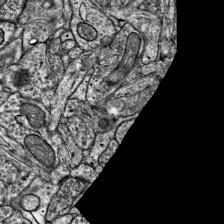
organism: Mouse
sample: Visual Cortex